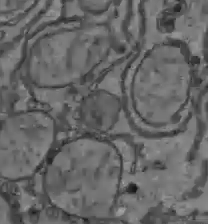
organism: C57BL Mouse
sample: Liver